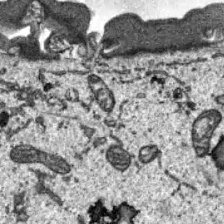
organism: Human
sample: HeLa cells